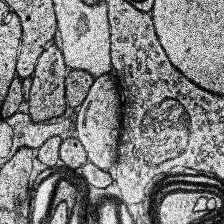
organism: Human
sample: Temporal Lobe